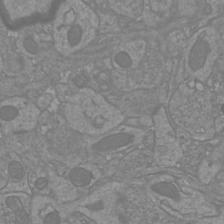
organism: Mouse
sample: Cortical neurons